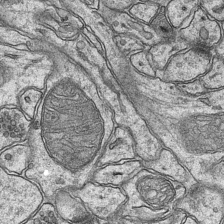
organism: Mouse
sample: CA1 Hippocampus